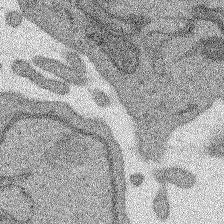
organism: Human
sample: HeLa cells